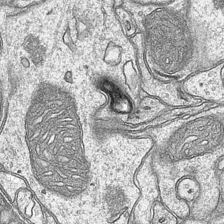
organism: Mouse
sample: CA1 Hippocampus